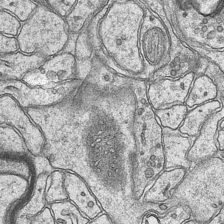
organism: Mouse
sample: CA1 Hippocampus